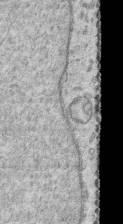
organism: Human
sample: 1205lu cells